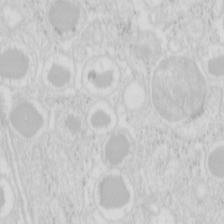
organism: Mouse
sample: Pancreas